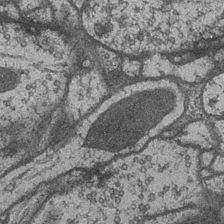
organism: Drosophila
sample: Optic medulla